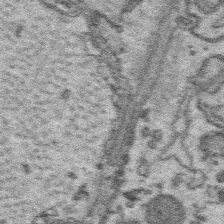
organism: Platynereis dumerilii